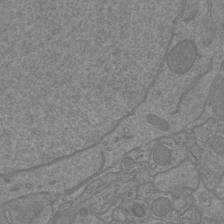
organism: Mouse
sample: Cortical neurons